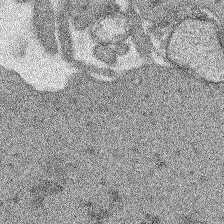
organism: Human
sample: HeLa cells